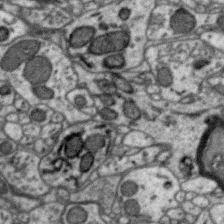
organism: Zebra finch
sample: Brain